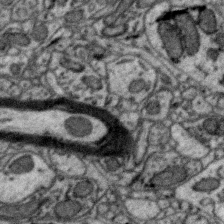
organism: Zebra finch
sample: Brain